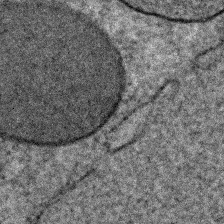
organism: C. elegans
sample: C. elegans embryo